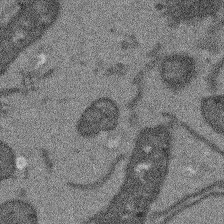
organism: Arabidopsis thaliana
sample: Root tip